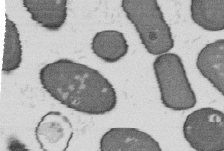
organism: B. subtilis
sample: Bacterial spore